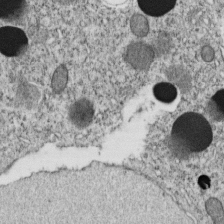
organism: C. elegans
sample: C. elegans embryo early stage